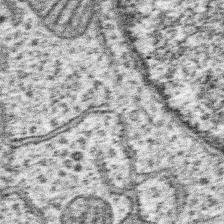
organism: Human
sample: HeLa cells